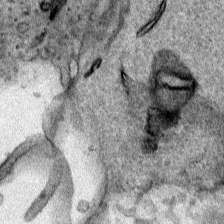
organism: Human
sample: Mitochondria in HCT116 cells